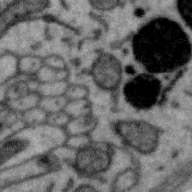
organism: Zebra finch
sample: Brain